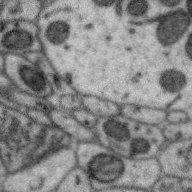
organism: Zebra finch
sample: Brain